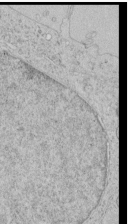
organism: Human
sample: Mitochondria in HCT116 cells